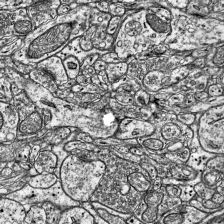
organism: Mouse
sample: Visual Cortex